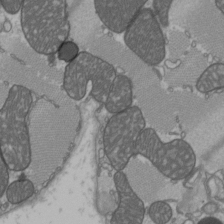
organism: C57BL Mouse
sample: Heart